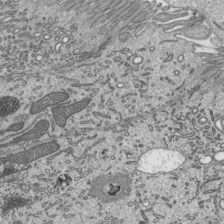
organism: Mouse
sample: Mouse epididymis efferent ductule cilia